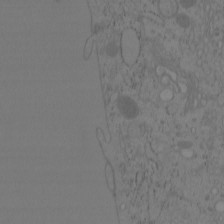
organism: Human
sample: HeLa cells